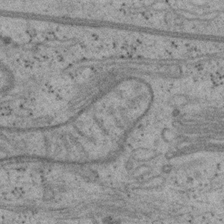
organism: Human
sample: HeLa cells